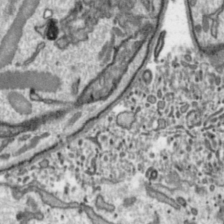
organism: Toxoplasma gondii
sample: Parasites in a vacuole inside a host cell